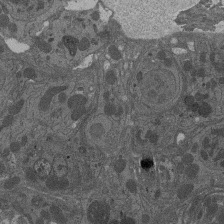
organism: Drosophila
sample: Antenna